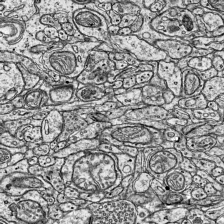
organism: Mouse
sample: Visual Cortex